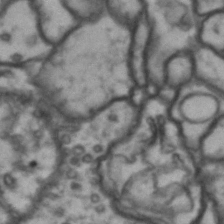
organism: Drosophila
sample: Brain